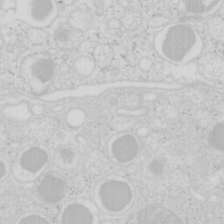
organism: Mouse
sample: Pancreas